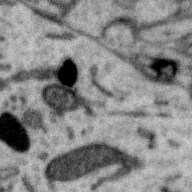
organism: Zebra finch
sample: Brain